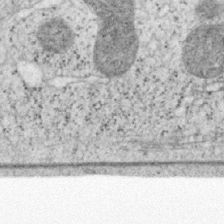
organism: Mouse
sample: OT-I killer T cells with ID8 ovarian cancer cells